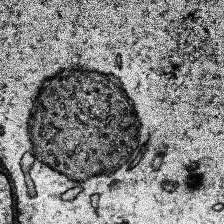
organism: Human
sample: Temporal Lobe